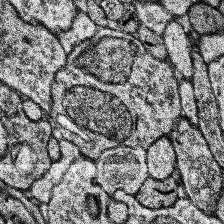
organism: Human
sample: Temporal Lobe